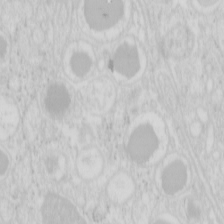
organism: Mouse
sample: Pancreas